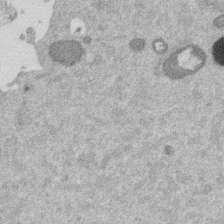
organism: Mouse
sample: Dividing mouse embryo 1 cell stage